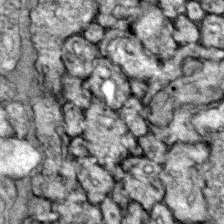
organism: Zebrafish